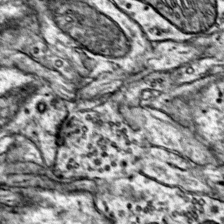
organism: Mouse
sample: Primary visual cortex